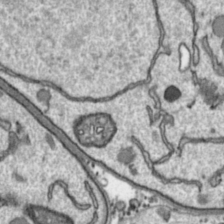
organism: Toxoplasma gondii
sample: Parasites in a vacuole inside a host cell